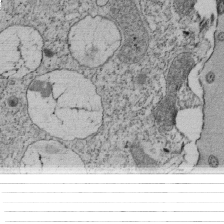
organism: Tetrahymena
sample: Cilia in tetrahymena